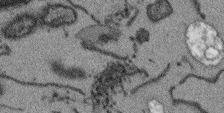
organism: Arabidopsis thaliana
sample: Root tip